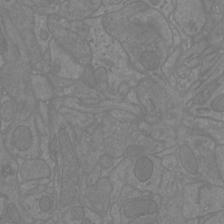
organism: Mouse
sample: Cortical neurons